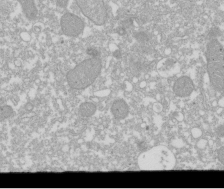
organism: Xenopus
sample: Cilia; centrioles in frog embryo cells